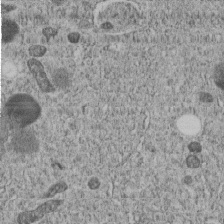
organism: C. elegans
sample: C. elegans embryo early stage